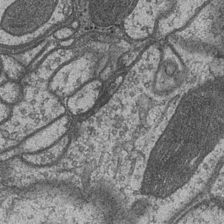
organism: Drosophila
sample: Optic medulla